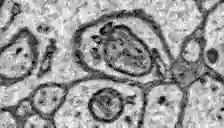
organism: Zebrafish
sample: Brain